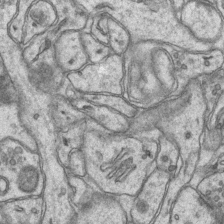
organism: Mouse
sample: CA1 Hippocampus